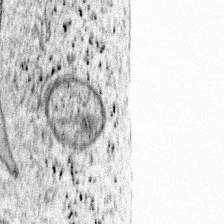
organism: Human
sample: HeLa cells